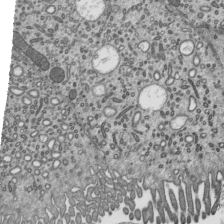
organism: Mouse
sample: Mouse epididymis efferent ductule cilia